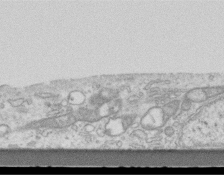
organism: Mouse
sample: Centriole in ependymal cells